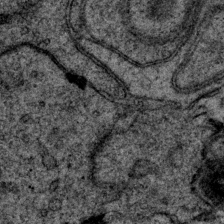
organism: P. pacificus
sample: Pharynx